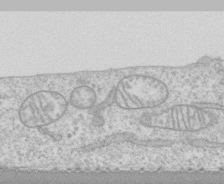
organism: Human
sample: CRL-1474